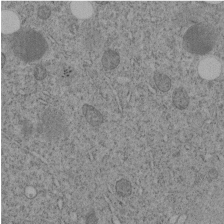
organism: C. elegans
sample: C. elegans embryo early stage